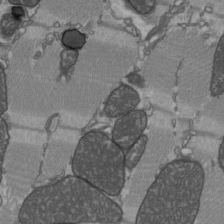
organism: C57BL Mouse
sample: Heart